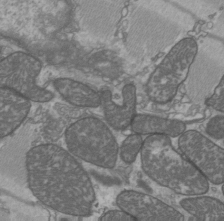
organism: C57BL Mouse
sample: Heart